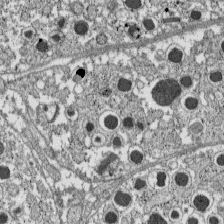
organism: C57BL Mouse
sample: Pancreatic islet